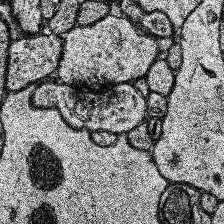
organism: Human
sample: Temporal Lobe